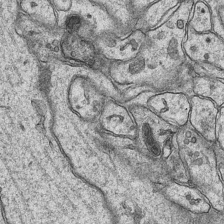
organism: Mouse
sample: CA1 Hippocampus